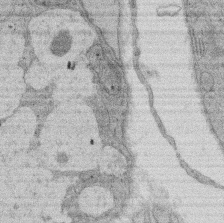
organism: Rat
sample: Salivary granule